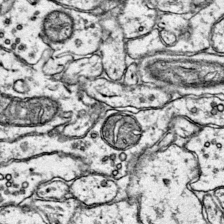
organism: Mouse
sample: Primary visual cortex